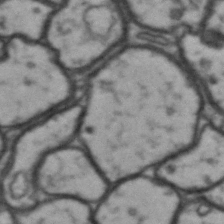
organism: Drosophila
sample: Brain